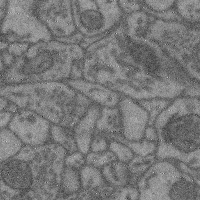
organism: Mouse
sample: Cerebral cortex